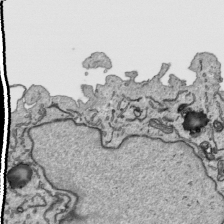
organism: Human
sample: Mitochondria in HCT116 cells